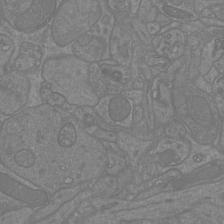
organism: Mouse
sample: Cortical neurons